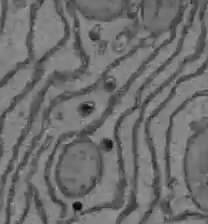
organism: C57BL Mouse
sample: Liver